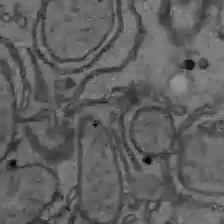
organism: C57BL Mouse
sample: Liver